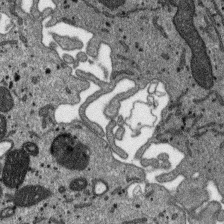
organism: Human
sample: Lung epithelial cells infected with SARS-CoV-2